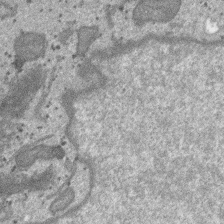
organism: Human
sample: Lung epithelial cells infected with SARS-CoV-2